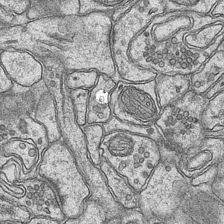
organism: Mouse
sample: CA1 Hippocampus